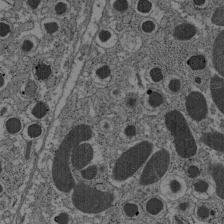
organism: C57BL Mouse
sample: Pancreatic islet